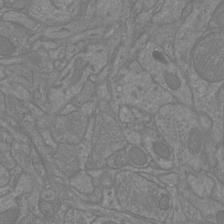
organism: Mouse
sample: Cortical neurons